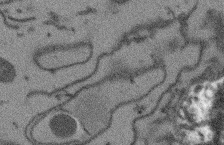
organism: Arabidopsis thaliana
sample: Root tip